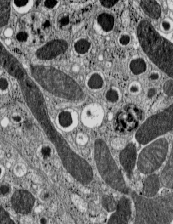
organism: C57BL Mouse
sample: Pancreatic islet